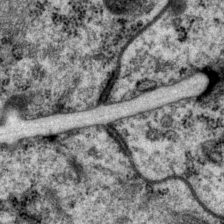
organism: P. pacificus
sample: Pharynx